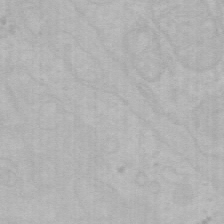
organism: Mouse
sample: Choroid plexus